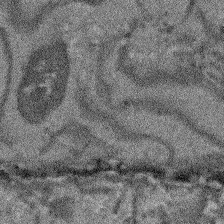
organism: Arabidopsis thaliana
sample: Root tip